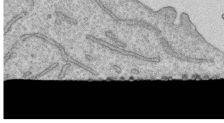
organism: Human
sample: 1205lu cells